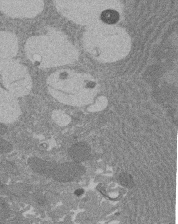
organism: Rat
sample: Salivary granule